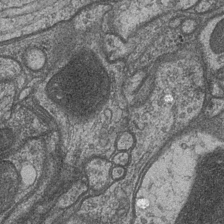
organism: Drosophila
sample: Optic medulla